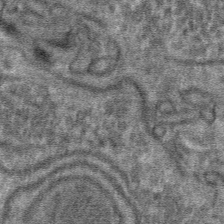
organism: Mouse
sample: Mouse hepatocytes